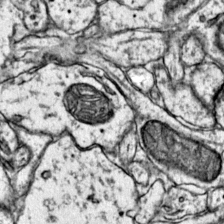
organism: Mouse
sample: Primary visual cortex